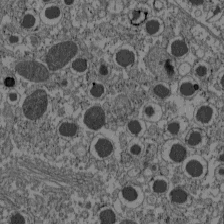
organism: C57BL Mouse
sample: Pancreatic islet